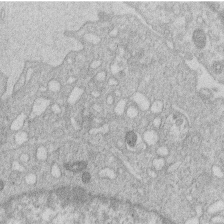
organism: Human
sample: Macrophage cells